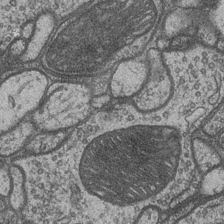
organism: Drosophila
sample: Optic medulla